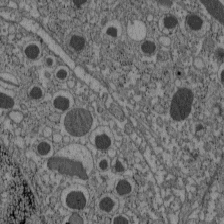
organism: C57BL Mouse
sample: Pancreatic islet